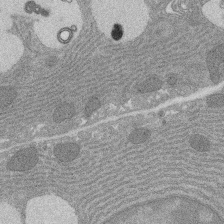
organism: Rat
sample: Salivary granule